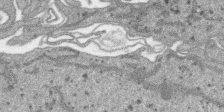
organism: Human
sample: Lung epithelial cells infected with SARS-CoV-2